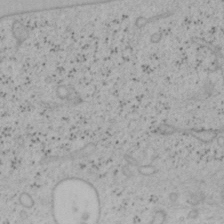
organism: Human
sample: HeLa cells